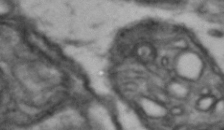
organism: Drosophila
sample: Brain